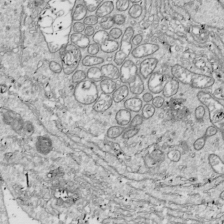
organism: Drosophila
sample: Cell division; meiosis; drosophila spermatocytes